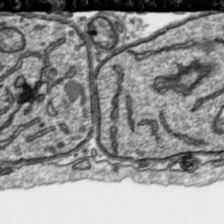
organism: Toxoplasma gondii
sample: Parasites in a vacuole inside a host cell